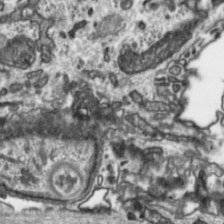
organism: Toxoplasma gondii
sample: Parasites in a vacuole inside a host cell